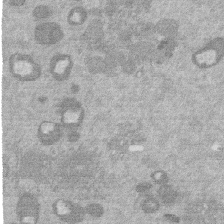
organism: Mouse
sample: Dividing mouse embryo 1 cell stage